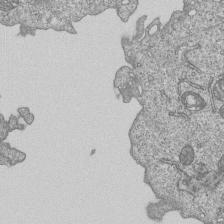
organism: Human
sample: MDA-MB-231 cells